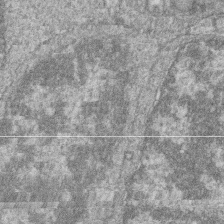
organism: Zebrafish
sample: Cilia; retinal pigment epithelium